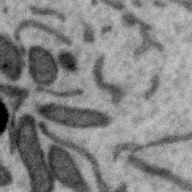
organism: Zebra finch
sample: Brain